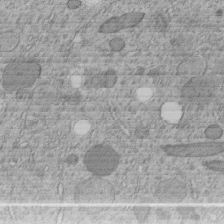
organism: C. elegans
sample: C. elegans embryo early stage